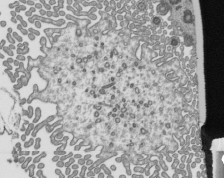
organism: Mouse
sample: Mouse epididymis efferent ductule cilia